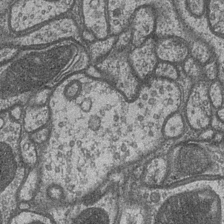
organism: Drosophila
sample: Optic medulla